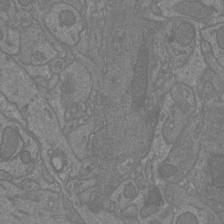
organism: Mouse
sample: Cortical neurons